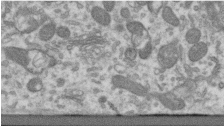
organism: Human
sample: Centriole in RPE cells